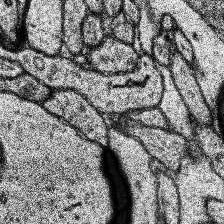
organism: Human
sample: Temporal Lobe